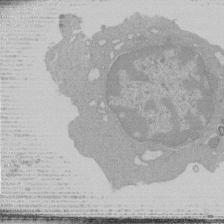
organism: Mouse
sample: Activated Pmel transgenic CD8+ T Cells